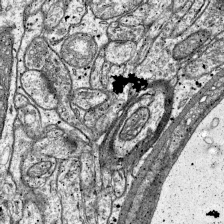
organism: Mouse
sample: Visual Cortex